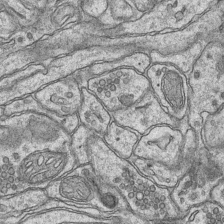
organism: Mouse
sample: CA1 Hippocampus